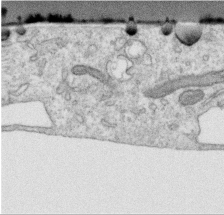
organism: Human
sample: Centriole in RPE cells